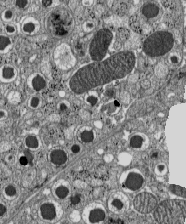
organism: C57BL Mouse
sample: Pancreatic islet